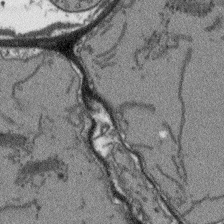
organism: Arabidopsis thaliana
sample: Root tip